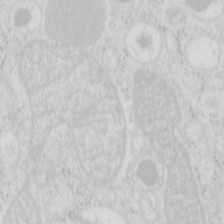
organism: Mouse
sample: Pancreas